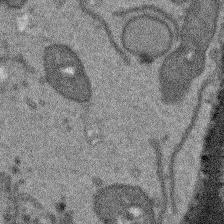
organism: Arabidopsis thaliana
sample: Root tip